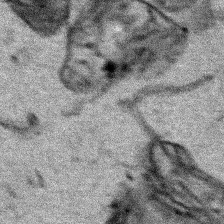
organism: Human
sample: Mitochondria in HCT116 cells